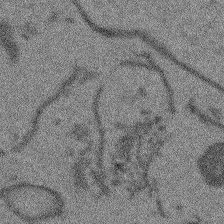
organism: Arabidopsis thaliana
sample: Root tip